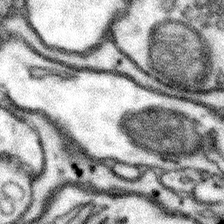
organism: Mouse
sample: Somatosensory cortex neuropil